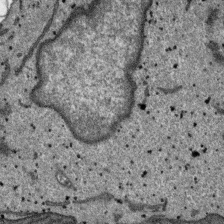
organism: Human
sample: Lung epithelial cells, uninfected (mock) control